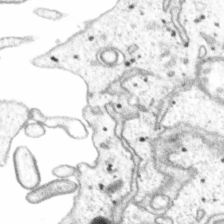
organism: Human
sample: HeLa cells